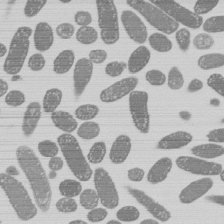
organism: E. coli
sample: Bacterial nucleoid